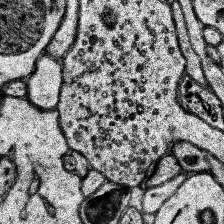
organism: Human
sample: Temporal Lobe